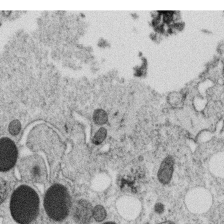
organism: C. elegans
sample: C. elegans oocyte; sperm cells